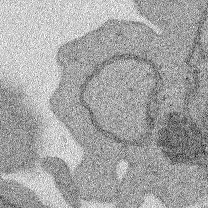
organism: Human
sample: HeLa cells